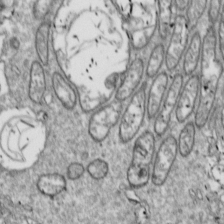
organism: Drosophila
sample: Cell division; meiosis; drosophila spermatocytes